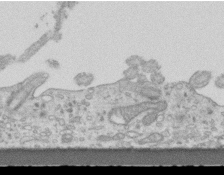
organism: Mouse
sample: Centriole in ependymal cells